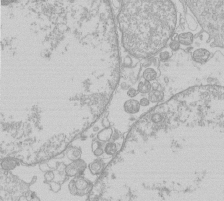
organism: Human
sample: Macrophage cells